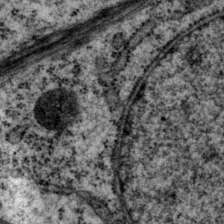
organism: P. pacificus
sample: Pharynx